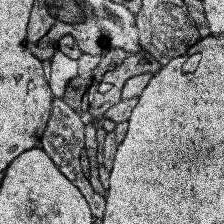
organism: Human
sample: Temporal Lobe